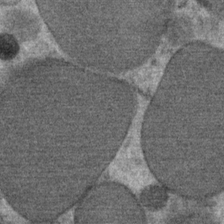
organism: Mouse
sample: Mouse Salivary gland